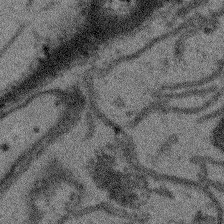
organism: Arabidopsis thaliana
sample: Root tip